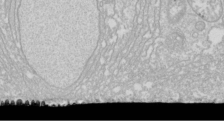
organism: Drosophila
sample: Cell division; meiosis; drosophila spermatocytes